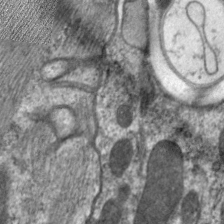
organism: C. elegans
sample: Pharynx